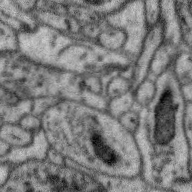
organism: Zebra finch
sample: Brain